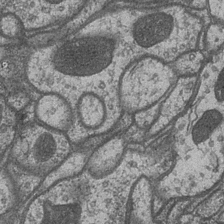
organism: Drosophila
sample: Optic medulla